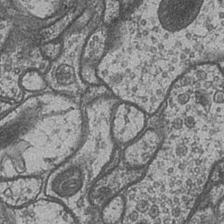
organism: Drosophila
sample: Optic medulla